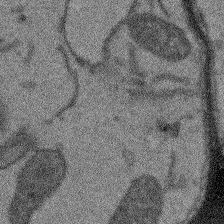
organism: Arabidopsis thaliana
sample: Root tip